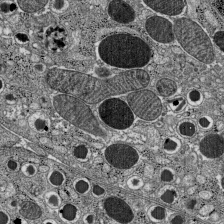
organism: C57BL Mouse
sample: Pancreatic islet